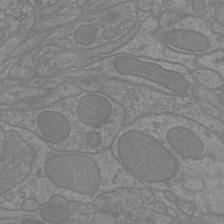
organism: Mouse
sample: Cortical neurons